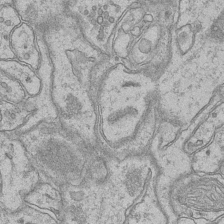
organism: Mouse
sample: CA1 Hippocampus